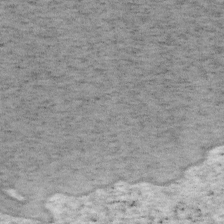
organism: Mouse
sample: OT-I killer T cells with ID8 ovarian cancer cells